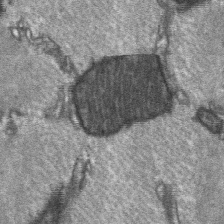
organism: C57BL Mouse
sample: Soleus